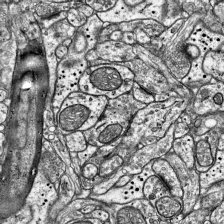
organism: Mouse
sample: Visual Cortex